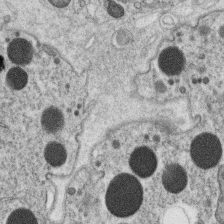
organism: C. elegans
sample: C. elegans oocyte; sperm cells